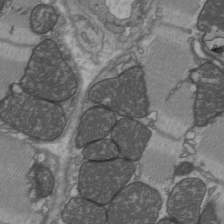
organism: C57BL Mouse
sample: Heart